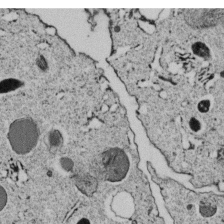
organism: C. elegans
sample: C. elegans embryo early stage